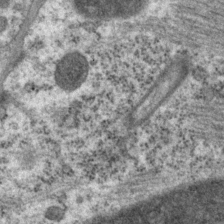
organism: P. pacificus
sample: Pharynx